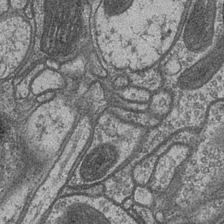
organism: Drosophila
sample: Optic medulla